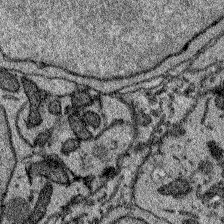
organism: Zebrafish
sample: Larval olfactory bulb